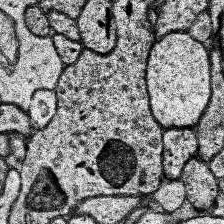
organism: Human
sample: Temporal Lobe